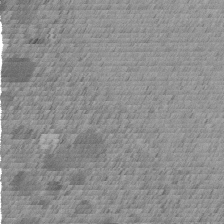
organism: C. elegans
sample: C. elegans embryo early stage